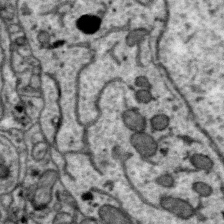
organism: Zebra finch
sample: Brain